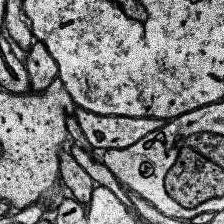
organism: Human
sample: Temporal Lobe